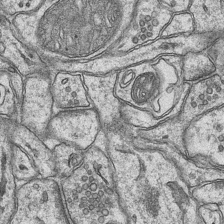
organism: Mouse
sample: CA1 Hippocampus